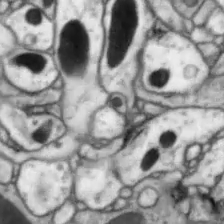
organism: Drosophila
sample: Optic lobe